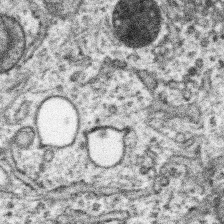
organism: Human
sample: HeLa cells